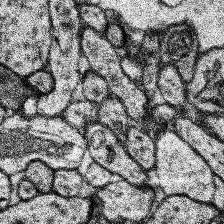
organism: Human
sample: Temporal Lobe